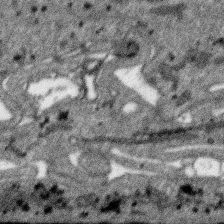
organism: Human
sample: Lung epithelial cells infected with SARS-CoV-2